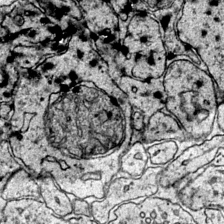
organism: Mouse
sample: Primary visual cortex